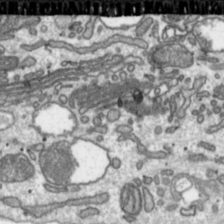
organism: Toxoplasma gondii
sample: Parasites in a vacuole inside a host cell